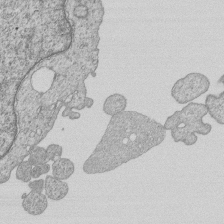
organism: Human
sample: MDA-MB-231 cells